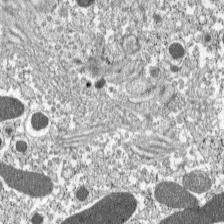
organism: C57BL Mouse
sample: Pancreatic islet